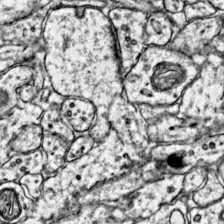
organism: Mouse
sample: Primary visual cortex